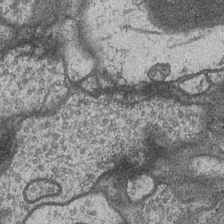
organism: Drosophila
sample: Optic medulla